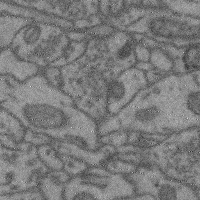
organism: Mouse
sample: Cerebral cortex